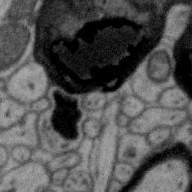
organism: Zebra finch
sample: Brain